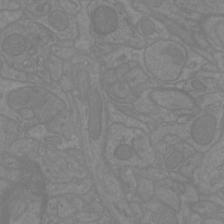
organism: Mouse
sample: Cortical neurons